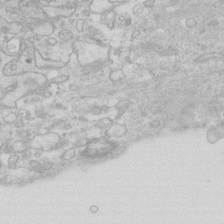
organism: Human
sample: Fibroblast cells